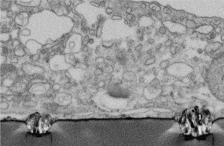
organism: Human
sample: Centriole in fibroblast cells